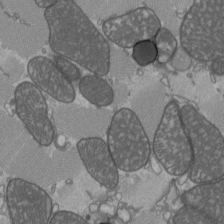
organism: C57BL Mouse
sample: Heart